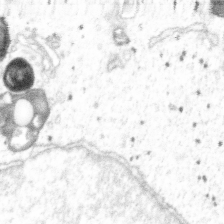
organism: Human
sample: HeLa cells